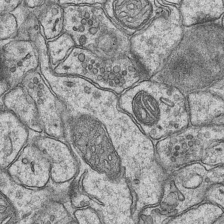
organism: Mouse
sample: CA1 Hippocampus